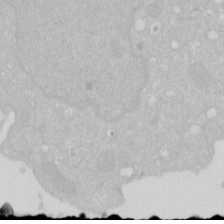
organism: Human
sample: HIV infected U937 cells